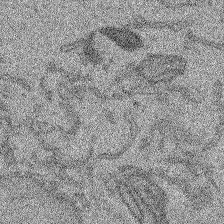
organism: Human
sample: HeLa cells